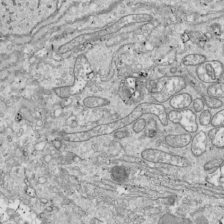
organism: Drosophila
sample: Cell division; meiosis; drosophila spermatocytes